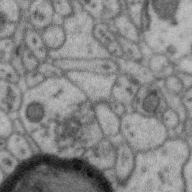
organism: Zebra finch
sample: Brain